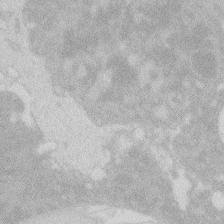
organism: Zebrafish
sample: Macrophage